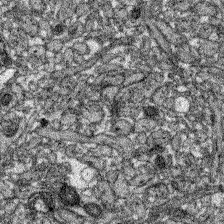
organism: Zebrafish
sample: Larval olfactory bulb